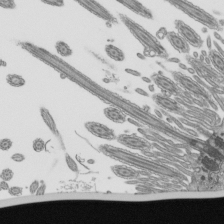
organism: Mouse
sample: Mouse epididymis efferent ductule cilia